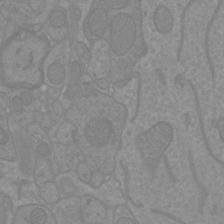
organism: Mouse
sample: Cortical neurons